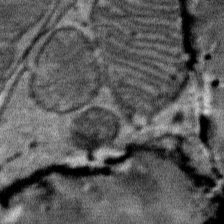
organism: Mouse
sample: Mouse Salivary gland